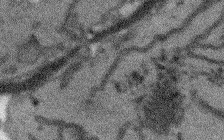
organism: Arabidopsis thaliana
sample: Root tip